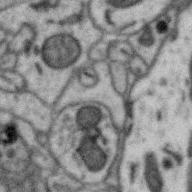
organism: Zebra finch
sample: Brain